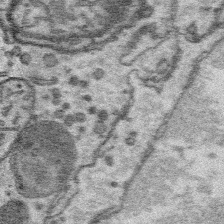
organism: Platynereis dumerilii